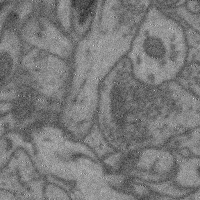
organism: Mouse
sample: Cerebral cortex